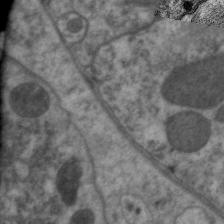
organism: C. elegans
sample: Pharynx